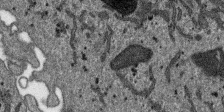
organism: Human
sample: Lung epithelial cells infected with SARS-CoV-2